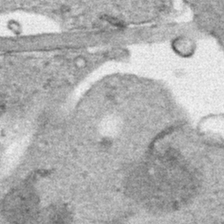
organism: Human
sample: Mitochondria in HCT116 cells